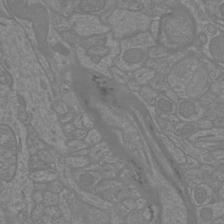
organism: Mouse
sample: Cortical neurons